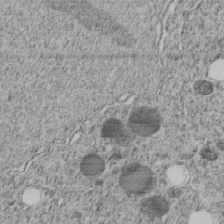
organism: C. elegans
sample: C. elegans embryo early stage